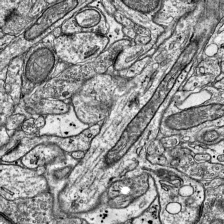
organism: Mouse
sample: Visual Cortex